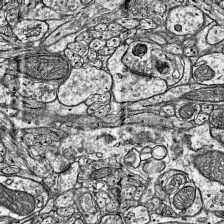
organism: Mouse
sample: Visual Cortex